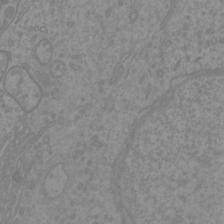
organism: Mouse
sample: Cortical neurons